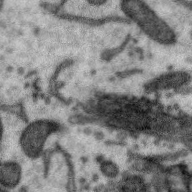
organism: Zebra finch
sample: Brain